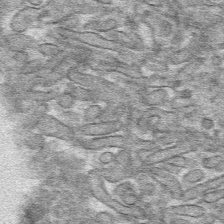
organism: Mouse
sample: Mouse hepatocytes